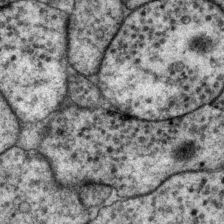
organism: P. pacificus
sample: Pharynx